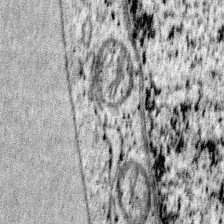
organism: Human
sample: HeLa cells